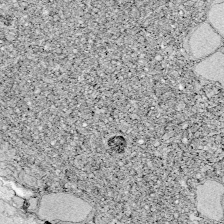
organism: Zebrafish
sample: Whole-Brain